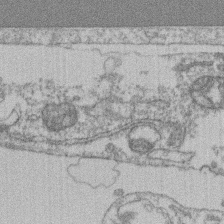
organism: Mouse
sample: T cell stromal cell synapse